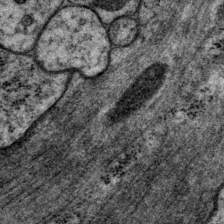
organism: P. pacificus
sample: Pharynx